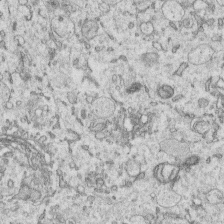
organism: Human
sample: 1205lu cells